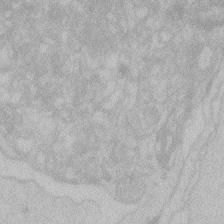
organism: Zebrafish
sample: Macrophage infected with Toxoplasma gondii